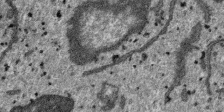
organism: Human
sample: Lung epithelial cells, uninfected (mock) control